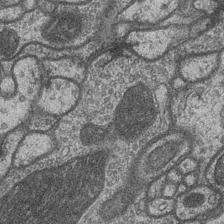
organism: Drosophila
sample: Optic medulla